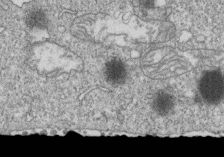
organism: Human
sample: HeLa cell HIV synapse